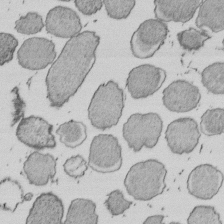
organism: E. coli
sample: Bacterial nucleoid